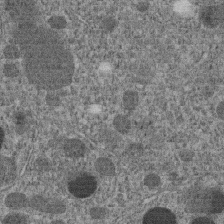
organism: C. elegans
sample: C. elegans embryo early stage